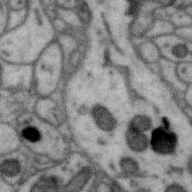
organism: Zebra finch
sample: Brain